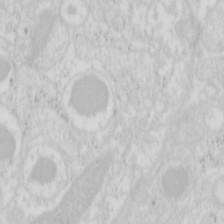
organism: Mouse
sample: Pancreas